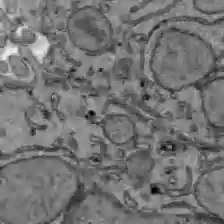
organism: C57BL Mouse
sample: Liver